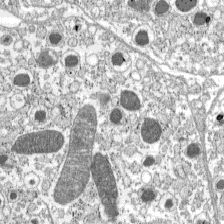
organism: C57BL Mouse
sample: Pancreatic islet